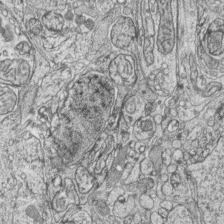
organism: Zebrafish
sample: synaptic ribbons in rod cells and cone cells